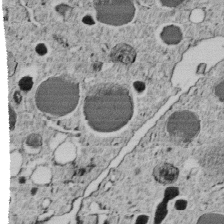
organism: C. elegans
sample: C. elegans embryo early stage